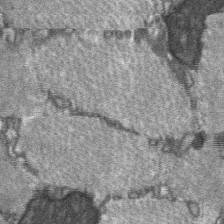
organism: C57BL Mouse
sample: Soleus